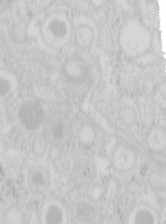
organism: Mouse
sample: Pancreas